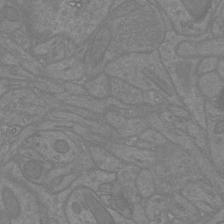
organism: Mouse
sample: Cortical neurons